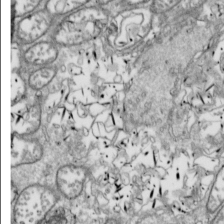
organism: Drosophila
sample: Cell division; meiosis; drosophila spermatocytes